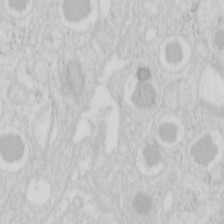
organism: Mouse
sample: Pancreas